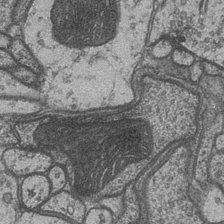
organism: Drosophila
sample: Optic medulla